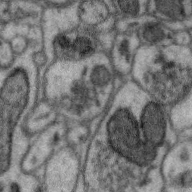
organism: Zebra finch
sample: Brain